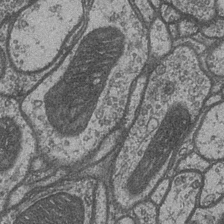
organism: Drosophila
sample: Optic medulla